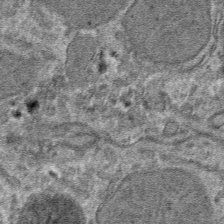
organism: Mouse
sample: Mouse hepatocytes